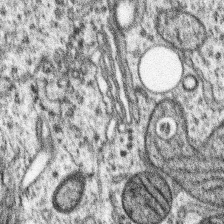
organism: Human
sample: HeLa cells